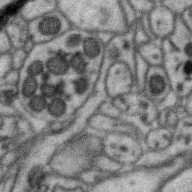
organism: Zebra finch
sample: Brain